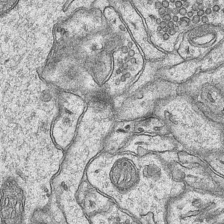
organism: Mouse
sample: CA1 Hippocampus